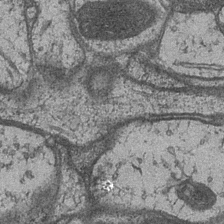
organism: Drosophila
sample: Optic medulla